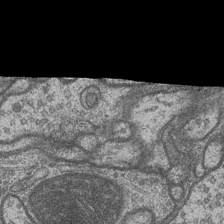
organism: Drosophila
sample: Optic medulla